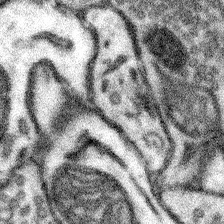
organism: Mouse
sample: Somatosensory cortex neuropil